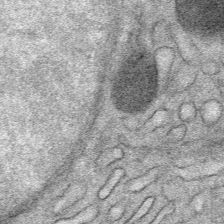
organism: Mouse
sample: Mouse Salivary gland